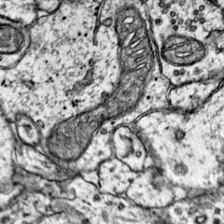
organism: Mouse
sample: Primary visual cortex